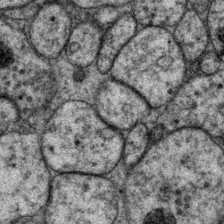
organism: P. pacificus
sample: Pharynx